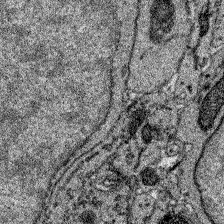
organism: Zebrafish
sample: Larval olfactory bulb